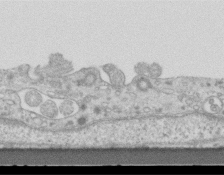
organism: Mouse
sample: Centriole in ependymal cells